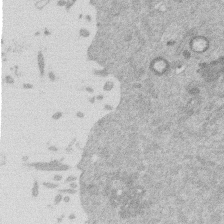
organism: Mouse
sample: Dividing mouse embryo 1 cell stage